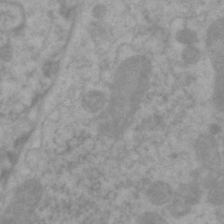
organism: C. elegans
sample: Pharynx